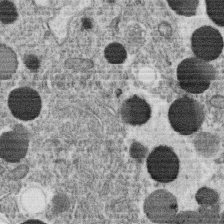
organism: C. elegans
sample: C. elegans oocyte; sperm cells